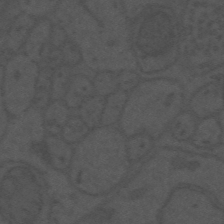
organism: Mouse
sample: Suprachiasmatic nucleus